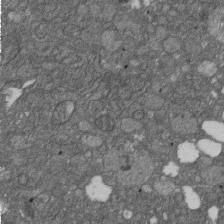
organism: Drosophila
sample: Nephrocyte